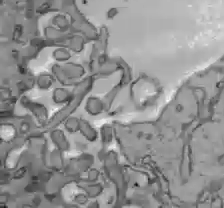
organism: C57BL Mouse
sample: Liver